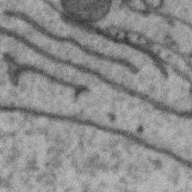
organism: Zebra finch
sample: Brain